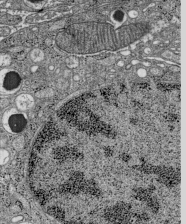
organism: C57BL Mouse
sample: Pancreatic islet